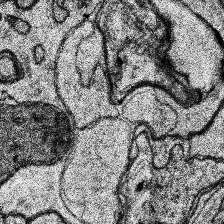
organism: Human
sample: Temporal Lobe